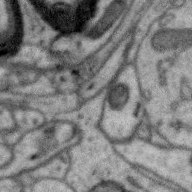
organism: Zebra finch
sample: Brain